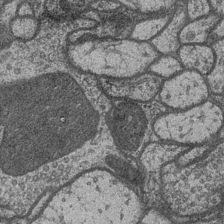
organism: Drosophila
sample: Optic medulla